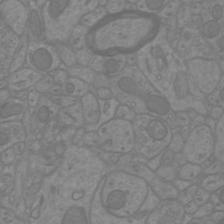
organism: Mouse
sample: Cortical neurons